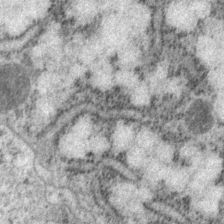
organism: P. pacificus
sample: Pharynx